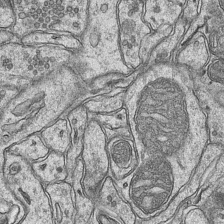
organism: Mouse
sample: CA1 Hippocampus